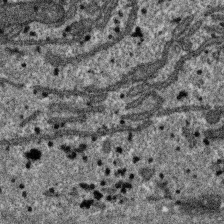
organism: Human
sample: Lung epithelial cells infected with SARS-CoV-2